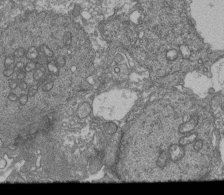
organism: Human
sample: Retinal organoid Rod and Cone cells